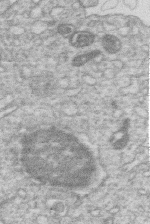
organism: Human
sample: Macrophage cells